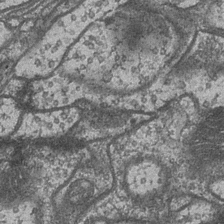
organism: Drosophila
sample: Optic medulla